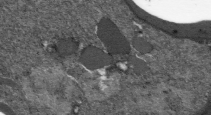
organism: Plasmodium falciparum